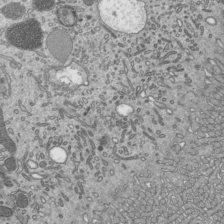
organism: Mouse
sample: Mouse epididymis efferent ductule cilia